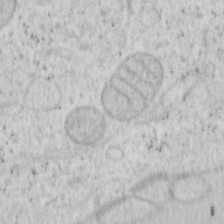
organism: Human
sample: HeLa cells